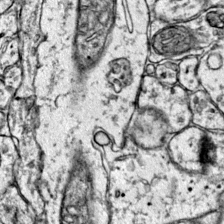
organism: Mouse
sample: Primary visual cortex